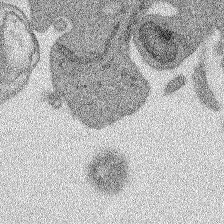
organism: Human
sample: HeLa cells